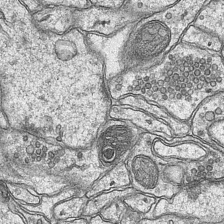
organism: Mouse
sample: CA1 Hippocampus